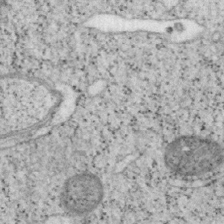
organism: Mouse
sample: OT-I killer T cells with ID8 ovarian cancer cells